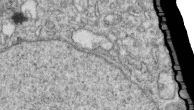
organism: Human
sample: HeLa cell HIV synapse